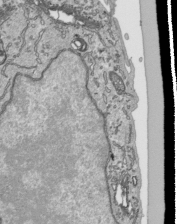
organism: Human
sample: Mitochondria in HCT116 cells